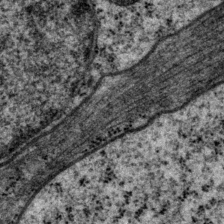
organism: P. pacificus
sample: Pharynx